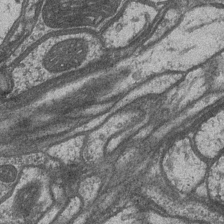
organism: Drosophila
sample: Optic medulla